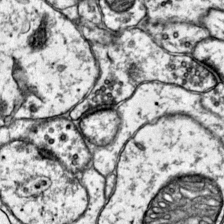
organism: Mouse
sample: Primary visual cortex